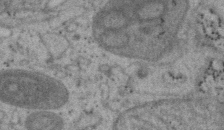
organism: Human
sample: HeLa cells